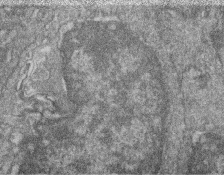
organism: Zebrafish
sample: Cilia; retinal pigment epithelium